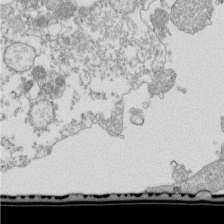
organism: Human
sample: HeLa cell HIV synapse